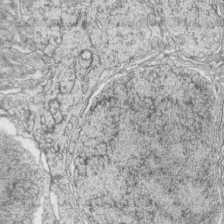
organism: Zebrafish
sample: synaptic ribbons in rod cells and cone cells